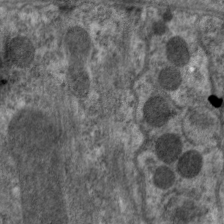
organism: C. elegans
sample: Pharynx